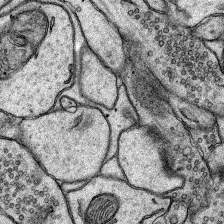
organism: Rat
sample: Hippocampus